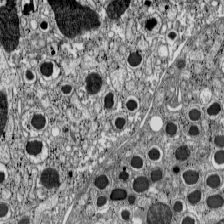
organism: C57BL Mouse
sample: Pancreatic islet